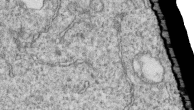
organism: Human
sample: HeLa cell HIV synapse